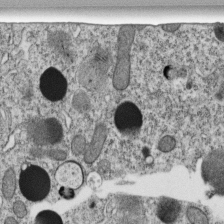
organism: C. elegans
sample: C. elegans embryo early stage